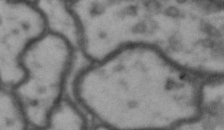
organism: Drosophila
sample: Brain